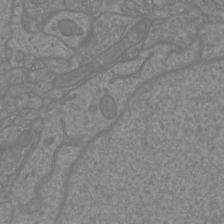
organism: Mouse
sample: Cortical neurons